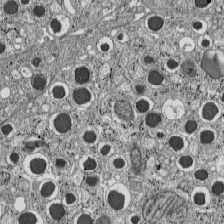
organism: C57BL Mouse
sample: Pancreatic islet